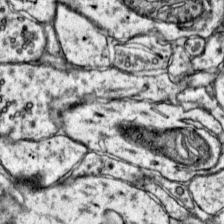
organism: Mouse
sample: Primary visual cortex